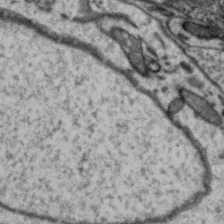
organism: Zebra finch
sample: Brain